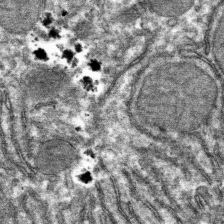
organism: Mouse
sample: Mouse hepatocytes